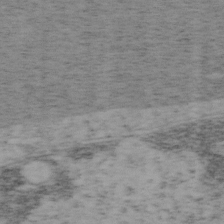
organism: Mouse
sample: OT-I killer T cells with ID8 ovarian cancer cells